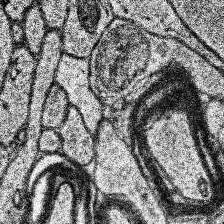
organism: Human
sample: Temporal Lobe